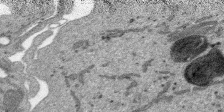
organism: Human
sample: Lung epithelial cells infected with SARS-CoV-2